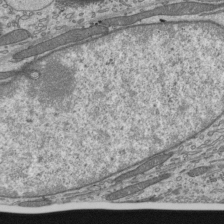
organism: Mouse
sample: Mouse epididymis efferent ductule cilia